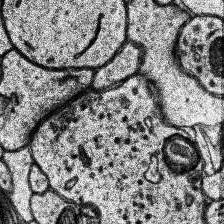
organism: Human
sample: Temporal Lobe